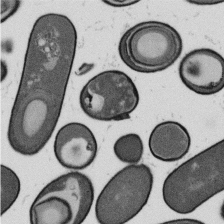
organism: B. subtilis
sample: Bacterial spore